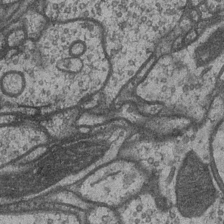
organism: Drosophila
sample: Optic medulla